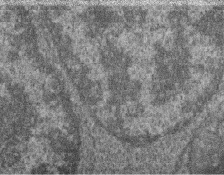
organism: Zebrafish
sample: Cilia; retinal pigment epithelium